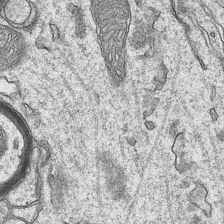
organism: Mouse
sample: CA1 Hippocampus